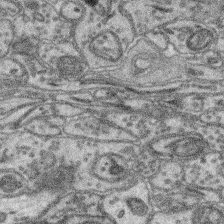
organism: Mouse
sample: Retina